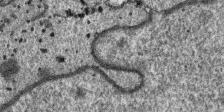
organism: Human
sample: Lung epithelial cells infected with SARS-CoV-2